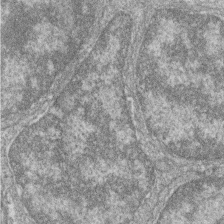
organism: Zebrafish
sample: Cilia; retinal pigment epithelium